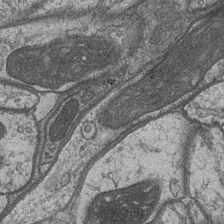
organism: Drosophila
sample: Optic medulla